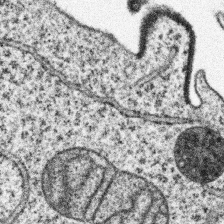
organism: Human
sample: HeLa cells